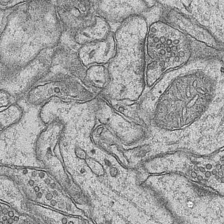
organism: Mouse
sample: CA1 Hippocampus